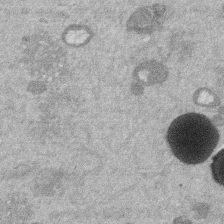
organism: Mouse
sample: Dividing mouse embryo 1 cell stage